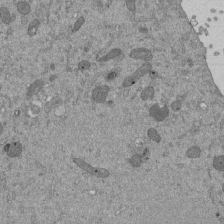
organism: Mouse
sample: ED-1 cell nuclei; centrioles